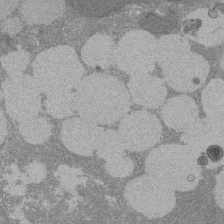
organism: Rat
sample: Salivary granule